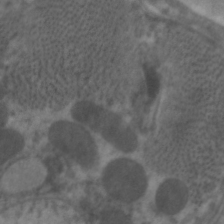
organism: C. elegans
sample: Pharynx